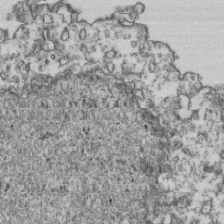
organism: Human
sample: Activated Jurkat CD4+ T cells